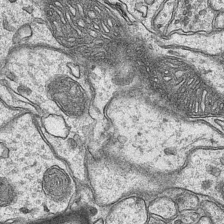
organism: Mouse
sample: CA1 Hippocampus